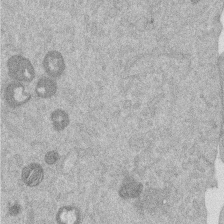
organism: Mouse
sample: Dividing mouse embryo 1 cell stage